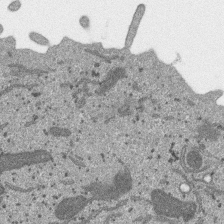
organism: Human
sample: Lung epithelial cells infected with SARS-CoV-2